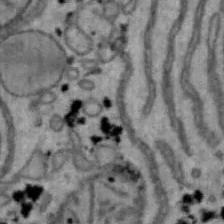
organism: Mouse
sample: Liver